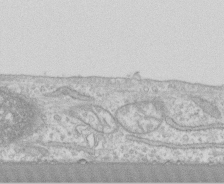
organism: Human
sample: CRL-1474